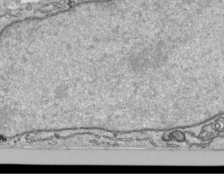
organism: Human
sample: Mitochondria in HCT116 cells